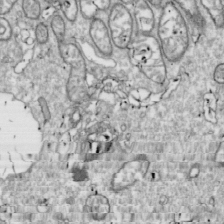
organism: Drosophila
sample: Cell division; meiosis; drosophila spermatocytes